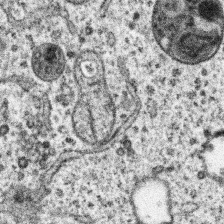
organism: Human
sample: HeLa cells